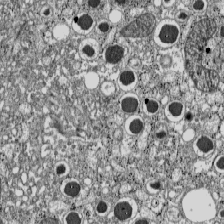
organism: C57BL Mouse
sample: Pancreatic islet